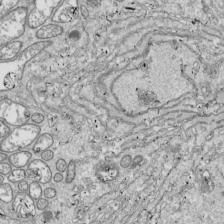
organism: Drosophila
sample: Cell division; meiosis; drosophila spermatocytes